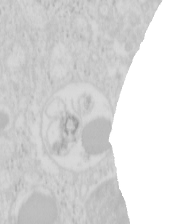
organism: Mouse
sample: Pancreas